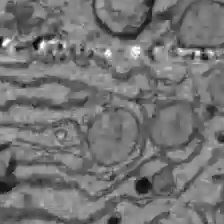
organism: C57BL Mouse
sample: Liver